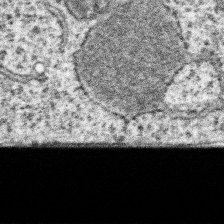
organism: Human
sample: HeLa cells